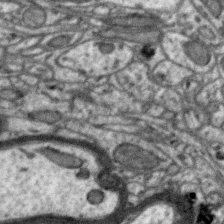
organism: Zebra finch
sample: Brain